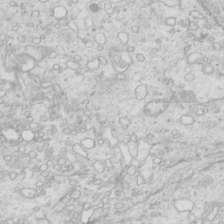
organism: Mouse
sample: Multiciliated cells